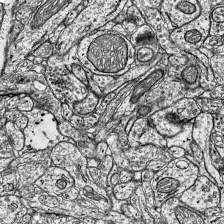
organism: Mouse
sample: Visual Cortex